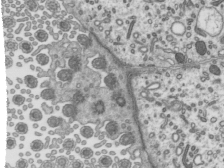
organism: Mouse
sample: Mouse epididymis efferent ductule cilia